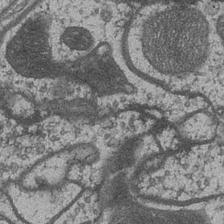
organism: Drosophila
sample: Optic medulla